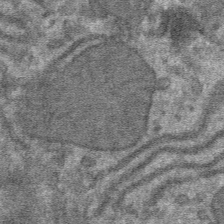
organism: Mouse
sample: Mouse hepatocytes